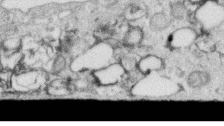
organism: Human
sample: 1205lu cells